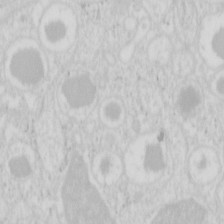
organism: Mouse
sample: Pancreas